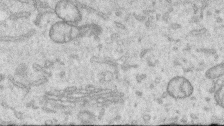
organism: Human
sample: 1205lu cells